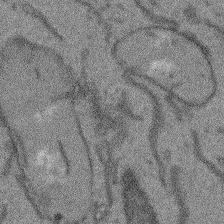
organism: Arabidopsis thaliana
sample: Root tip